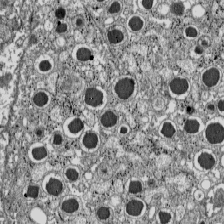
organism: C57BL Mouse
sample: Pancreatic islet